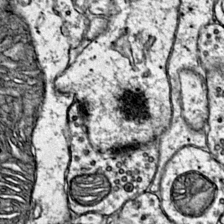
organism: Mouse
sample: Primary visual cortex